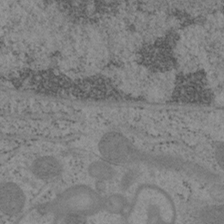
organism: Mouse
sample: OT-I killer T cells with ID8 ovarian cancer cells